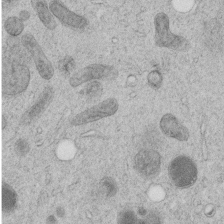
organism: C. elegans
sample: C. elegans embryo early stage